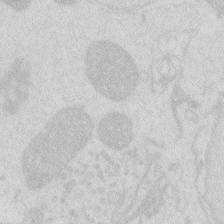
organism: Zebrafish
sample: Macrophage